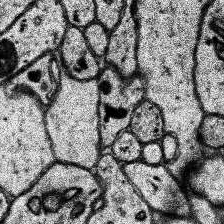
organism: Human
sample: Temporal Lobe